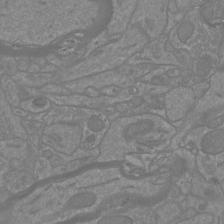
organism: Mouse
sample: Cortical neurons